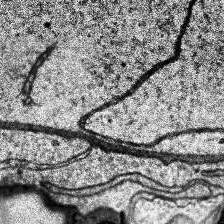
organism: Human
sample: Temporal Lobe